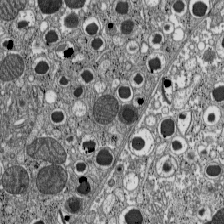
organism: C57BL Mouse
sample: Pancreatic islet